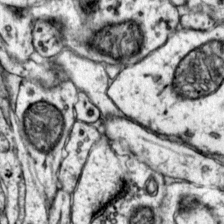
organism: Mouse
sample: Primary visual cortex